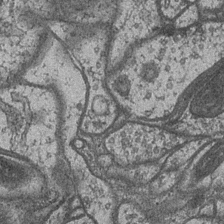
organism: Drosophila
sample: Optic medulla